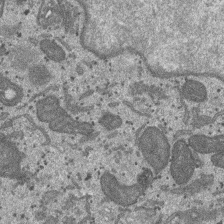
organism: Human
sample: Lung epithelial cells infected with SARS-CoV-2